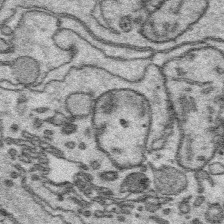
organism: Platynereis dumerilii